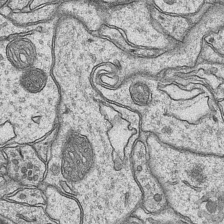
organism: Mouse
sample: CA1 Hippocampus